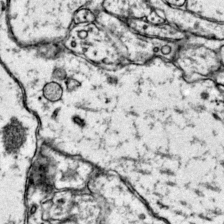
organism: Mouse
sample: Primary visual cortex